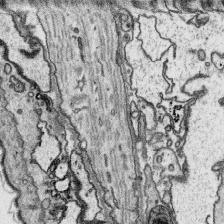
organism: Platynereis dumerilii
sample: Parapodia